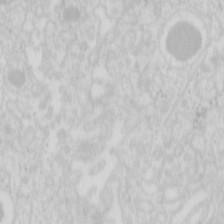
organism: Mouse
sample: Pancreas